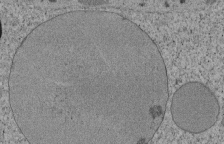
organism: Tetrahymena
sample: Cilia in tetrahymena